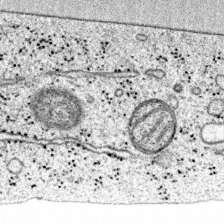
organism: Human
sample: HeLa cells